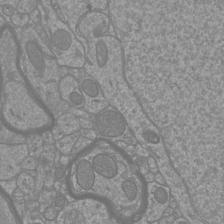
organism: Mouse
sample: Cortical neurons